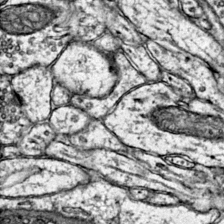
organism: Mouse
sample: Primary visual cortex